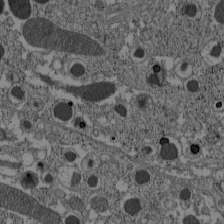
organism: C57BL Mouse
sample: Pancreatic islet